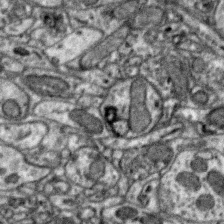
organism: Zebra finch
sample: Brain